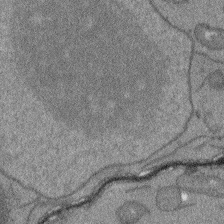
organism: Arabidopsis thaliana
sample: Root tip